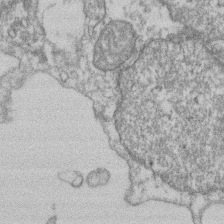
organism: Mouse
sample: T cell stromal cell synapse